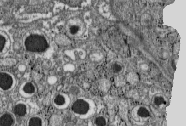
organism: C57BL Mouse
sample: Pancreatic islet